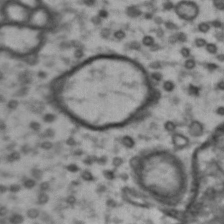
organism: Drosophila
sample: Brain